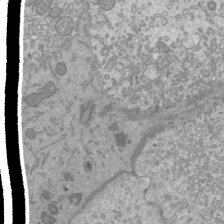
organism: Mouse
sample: Cilia; mouse epididymis